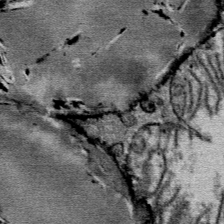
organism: Mouse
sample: Mouse Salivary gland